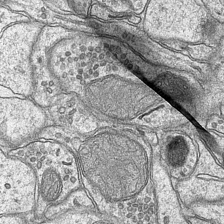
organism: Mouse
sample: CA1 Hippocampus